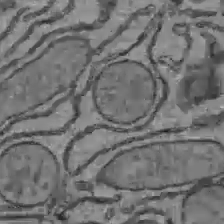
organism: C57BL Mouse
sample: Liver